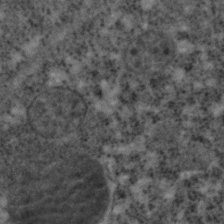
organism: C. elegans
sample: C. elegans embryo